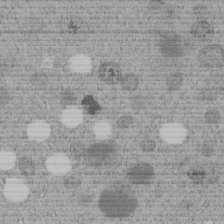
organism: C. elegans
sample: C. elegans embryo early stage